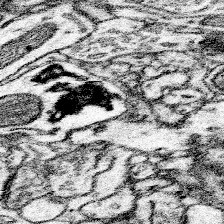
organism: Mouse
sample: Somatosensory cortex neuropil